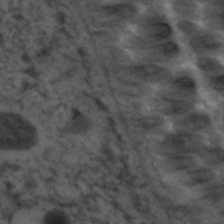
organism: C. elegans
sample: C. elegans embryo